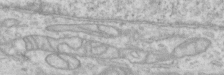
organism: Human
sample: Centriole in RPE cells